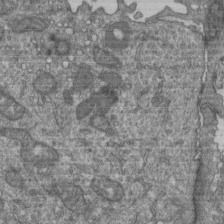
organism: Human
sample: Retinal organoid Rod and Cone cells